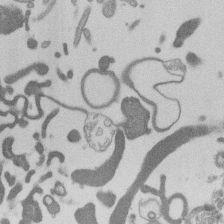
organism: Mouse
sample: Dividing mouse embryo 1 cell stage